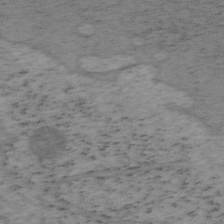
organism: Mouse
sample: OT-I killer T cells with ID8 ovarian cancer cells